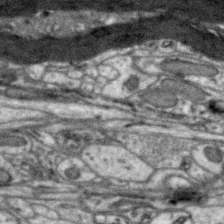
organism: Zebra finch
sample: Brain